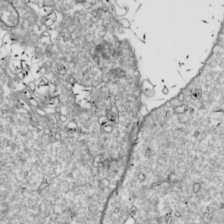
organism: Drosophila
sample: Cell division; meiosis; drosophila spermatocytes